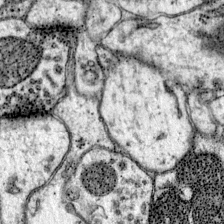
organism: Mouse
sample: Primary visual cortex